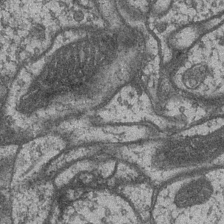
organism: Drosophila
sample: Optic medulla